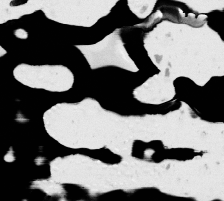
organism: C. elegans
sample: AFD neurons C. elegans